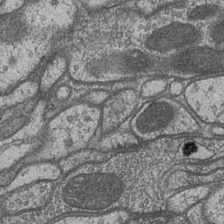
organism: Drosophila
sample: Optic medulla